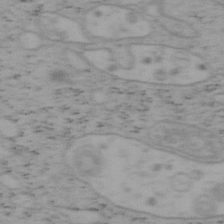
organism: Mouse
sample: OT-I killer T cells with ID8 ovarian cancer cells